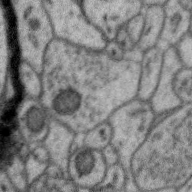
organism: Zebra finch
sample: Brain